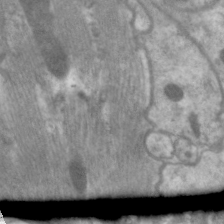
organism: C. elegans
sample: Pharynx